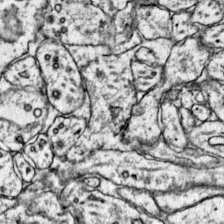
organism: Mouse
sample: Primary visual cortex